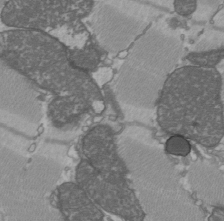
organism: C57BL Mouse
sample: Heart